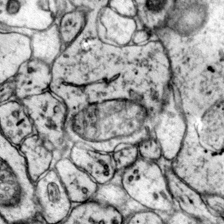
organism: Mouse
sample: Primary visual cortex